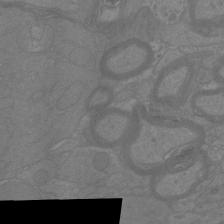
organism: Mouse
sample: Cortical neurons